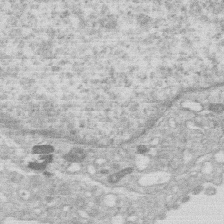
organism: Human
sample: Macrophage cells